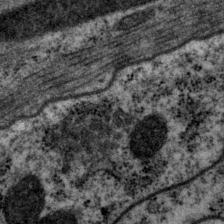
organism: P. pacificus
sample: Pharynx